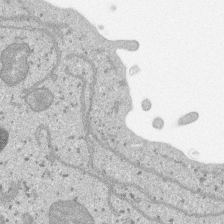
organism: Human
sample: Lung epithelial cells infected with SARS-CoV-2